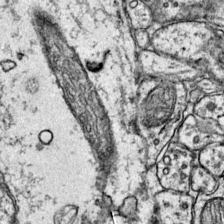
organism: Mouse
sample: Primary visual cortex